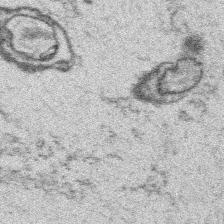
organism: Platynereis dumerilii